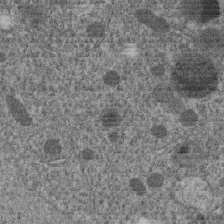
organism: C. elegans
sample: C. elegans embryo early stage